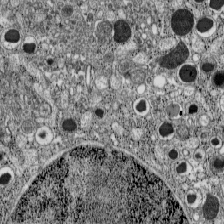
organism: C57BL Mouse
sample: Pancreatic islet